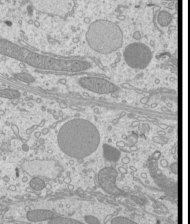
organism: Mouse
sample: Cilia; mouse epididymis